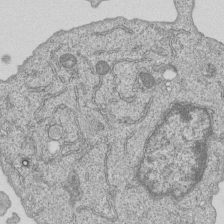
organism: Human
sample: MDA-MB-231 cells